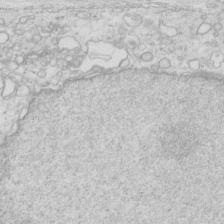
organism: Mouse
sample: Multiciliated cells